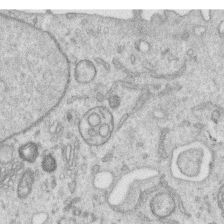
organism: Human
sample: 1205lu cells